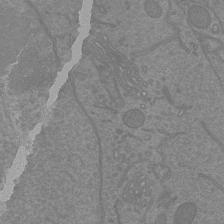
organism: Mouse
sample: Cortical neurons